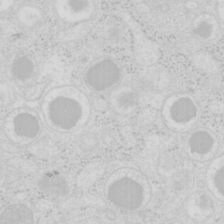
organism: Mouse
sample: Pancreas